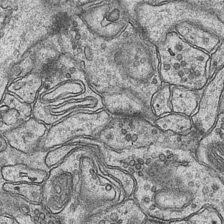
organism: Mouse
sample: CA1 Hippocampus